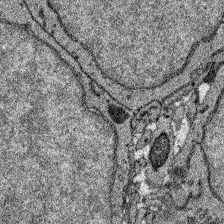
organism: Zebrafish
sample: Larval olfactory bulb